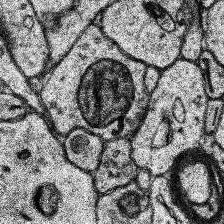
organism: Human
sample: Temporal Lobe